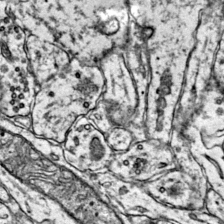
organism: Mouse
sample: Primary visual cortex